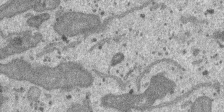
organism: Human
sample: Lung epithelial cells infected with SARS-CoV-2